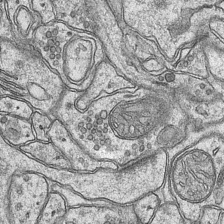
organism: Mouse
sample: CA1 Hippocampus